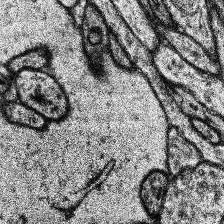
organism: Human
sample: Temporal Lobe